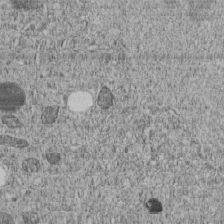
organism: C. elegans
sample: C. elegans embryo early stage